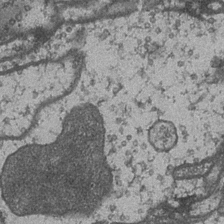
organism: Drosophila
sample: Optic medulla